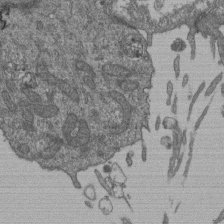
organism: Human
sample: Retinal organoid Rod and Cone cells